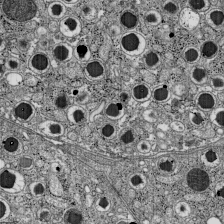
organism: C57BL Mouse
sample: Pancreatic islet